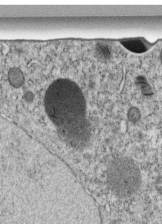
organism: C. elegans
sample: C. elegans embryo early stage